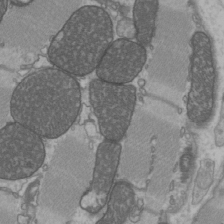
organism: C57BL Mouse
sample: Heart